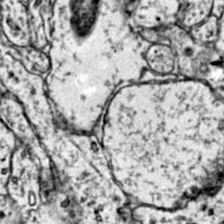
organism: Mouse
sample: Primary visual cortex